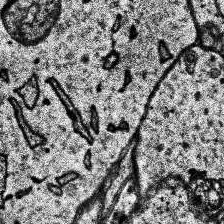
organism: Human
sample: Temporal Lobe